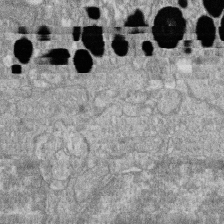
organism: Zebrafish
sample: Cilia; retinal pigment epithelium